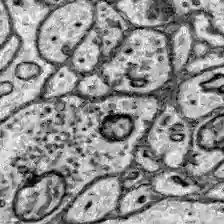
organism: Zebrafish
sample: Brain